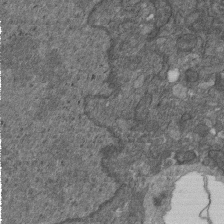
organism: Drosophila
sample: Nephrocyte